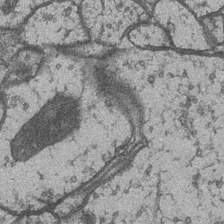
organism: Drosophila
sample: Optic medulla